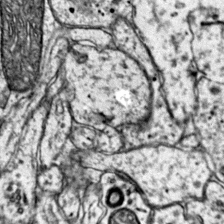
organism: Mouse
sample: Primary visual cortex